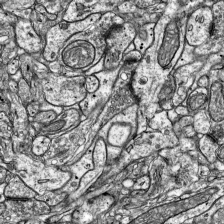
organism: Mouse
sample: Visual Cortex